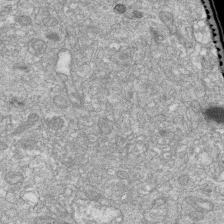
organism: Human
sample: HeLa cell HIV synapse